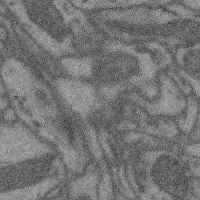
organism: Mouse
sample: Cerebral cortex